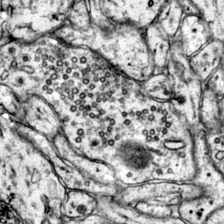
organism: Mouse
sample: Primary visual cortex